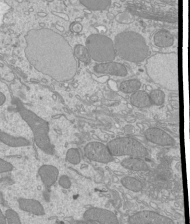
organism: Mouse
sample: Cilia; mouse epididymis